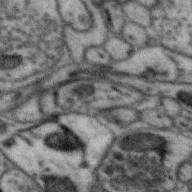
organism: Zebra finch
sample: Brain